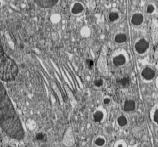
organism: C57BL Mouse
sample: Pancreatic islet